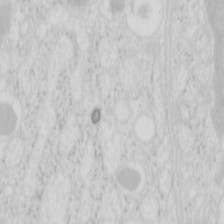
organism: Mouse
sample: Pancreas